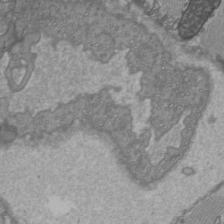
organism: C57BL Mouse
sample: Heart